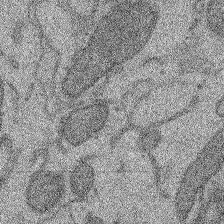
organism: Human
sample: HeLa cells